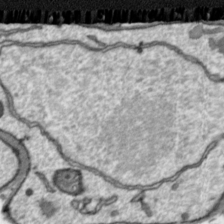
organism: Toxoplasma gondii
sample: Parasites in a vacuole inside a host cell